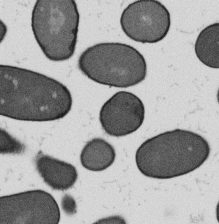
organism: B. subtilis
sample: Bacterial spore